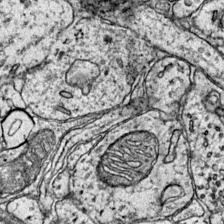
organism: Mouse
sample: Primary visual cortex